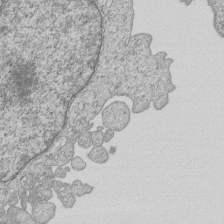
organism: Human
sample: MDA-MB-231 cells